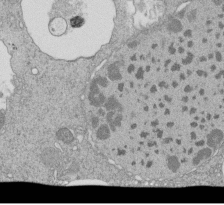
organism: Tetrahymena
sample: Cilia in tetrahymena